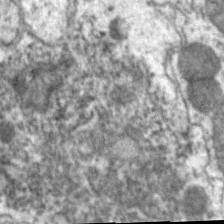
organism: C. elegans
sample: Pharynx